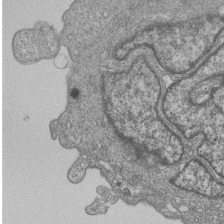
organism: Human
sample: MDA-MB-231 cells